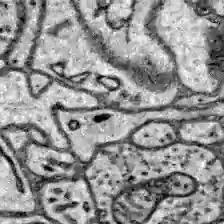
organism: Zebrafish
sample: Brain